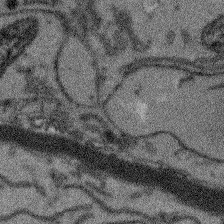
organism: Arabidopsis thaliana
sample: Root tip